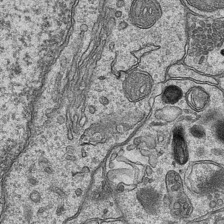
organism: Mouse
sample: CA1 Hippocampus